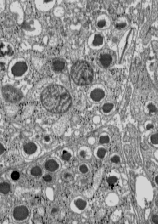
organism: C57BL Mouse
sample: Pancreatic islet